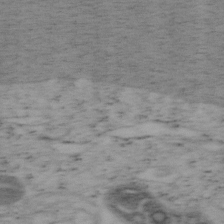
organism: Mouse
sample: OT-I killer T cells with ID8 ovarian cancer cells